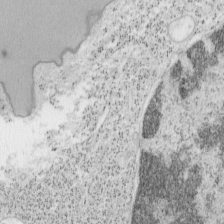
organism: Mouse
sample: OT-I killer T cells with ID8 ovarian cancer cells